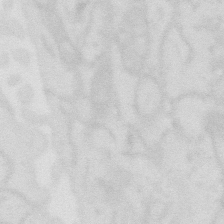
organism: Human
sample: HeLa cells